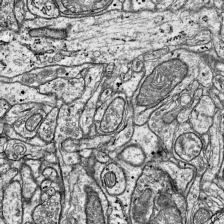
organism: Mouse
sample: Visual Cortex